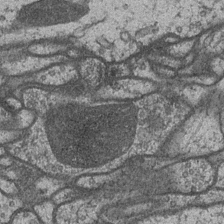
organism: Drosophila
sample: Optic medulla